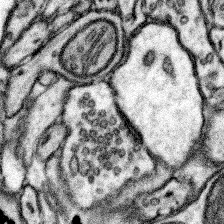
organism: Mouse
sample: Somatosensory cortex neuropil